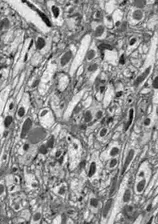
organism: Drosophila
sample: Optic lobe